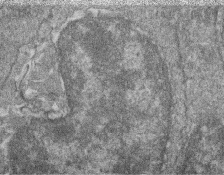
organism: Zebrafish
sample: Cilia; retinal pigment epithelium